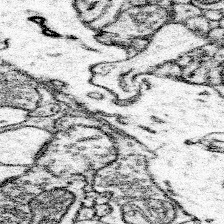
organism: Mouse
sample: Somatosensory cortex neuropil